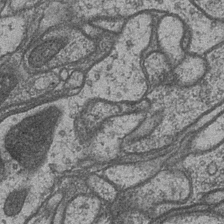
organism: Drosophila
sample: Optic medulla